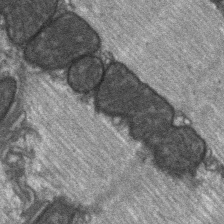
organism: C57BL Mouse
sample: Soleus